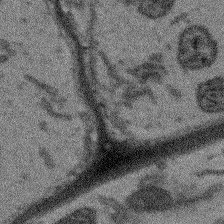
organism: Arabidopsis thaliana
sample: Root tip